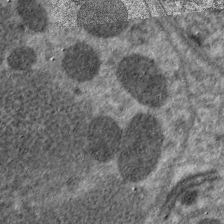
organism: C. elegans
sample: Pharynx